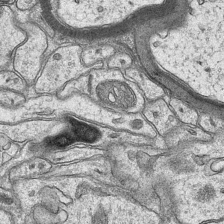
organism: Mouse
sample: CA1 Hippocampus